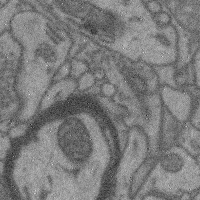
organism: Mouse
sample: Cerebral cortex